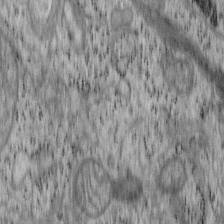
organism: Human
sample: HeLa cells